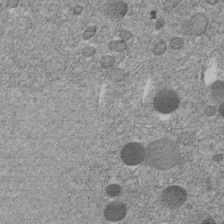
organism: C. elegans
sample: C. elegans embryo early stage